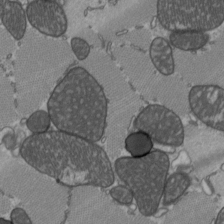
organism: C57BL Mouse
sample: Heart